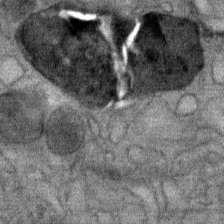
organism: Mouse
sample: Mouse Salivary gland